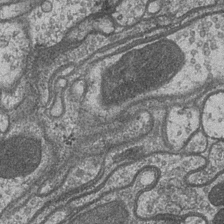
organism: Drosophila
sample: Optic medulla